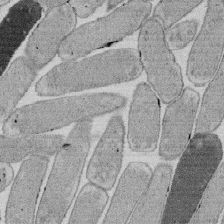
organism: E. coli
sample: Bacterial nucleoid